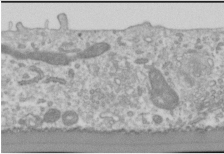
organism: Human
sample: Cilia; basal body in RPE cells